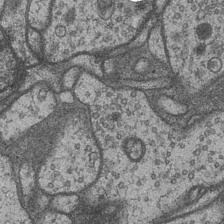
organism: Drosophila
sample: Optic medulla